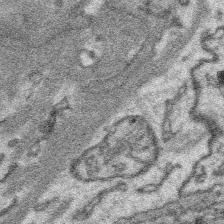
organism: Platynereis dumerilii